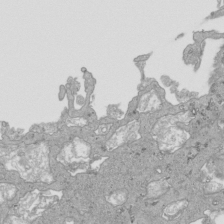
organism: Human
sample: Mitochondria in HCT116 cells